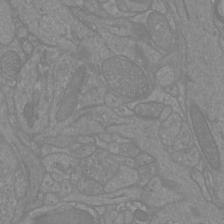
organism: Mouse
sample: Cortical neurons